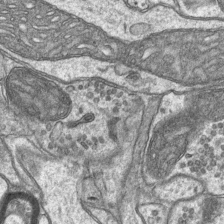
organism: Mouse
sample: CA1 Hippocampus